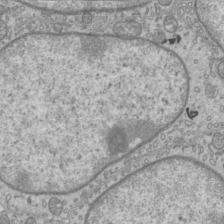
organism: Mouse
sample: Cilia; mouse epididymis